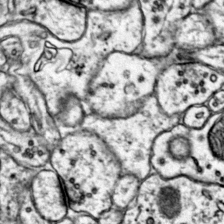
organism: Mouse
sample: Primary visual cortex